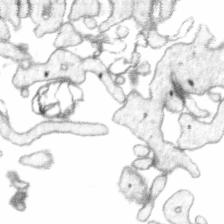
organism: Human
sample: HeLa cells